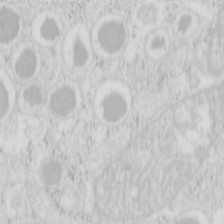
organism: Mouse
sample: Pancreas